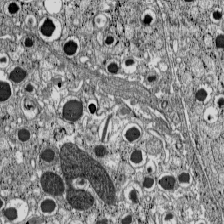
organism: C57BL Mouse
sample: Pancreatic islet